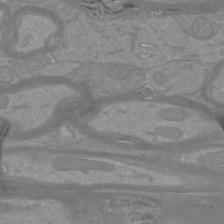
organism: Mouse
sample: Cortical neurons